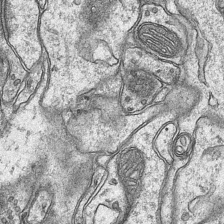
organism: Mouse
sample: CA1 Hippocampus